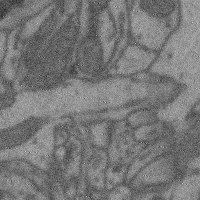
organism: Mouse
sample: Cerebral cortex